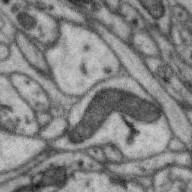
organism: Zebra finch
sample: Brain